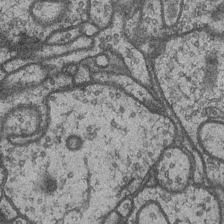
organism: Drosophila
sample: Optic medulla